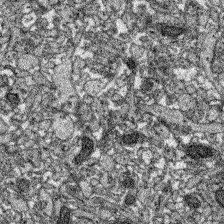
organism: Zebrafish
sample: Larval olfactory bulb